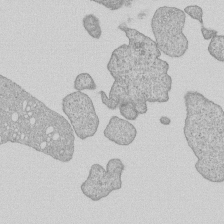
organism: Human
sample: MDA-MB-231 cells